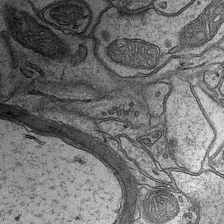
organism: Mouse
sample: CA1 Hippocampus